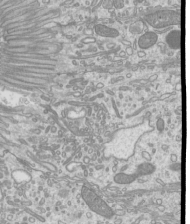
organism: Mouse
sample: Cilia; mouse epididymis